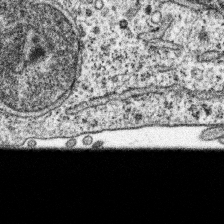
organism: Human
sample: HeLa cells